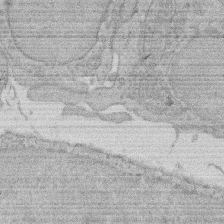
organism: Rat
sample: Salivary granule